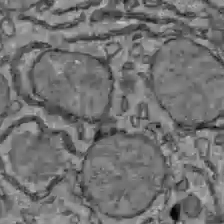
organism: C57BL Mouse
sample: Liver